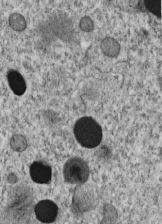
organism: C. elegans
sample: C. elegans embryo early stage